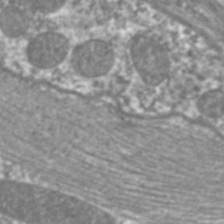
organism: C. elegans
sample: Pharynx